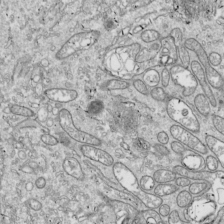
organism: Drosophila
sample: Cell division; meiosis; drosophila spermatocytes